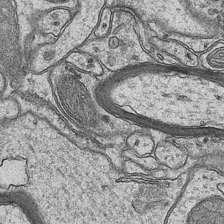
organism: Mouse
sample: CA1 Hippocampus